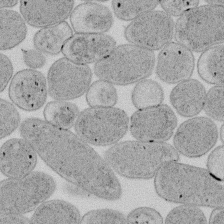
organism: E. coli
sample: Bacterial nucleoid